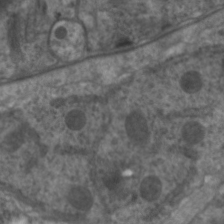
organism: C. elegans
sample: Pharynx